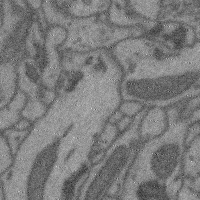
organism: Mouse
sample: Cerebral cortex